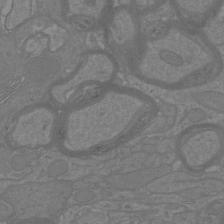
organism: Mouse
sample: Cortical neurons